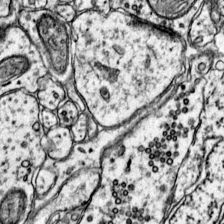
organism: Mouse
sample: Primary visual cortex